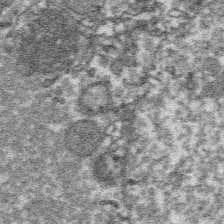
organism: Platynereis dumerilii